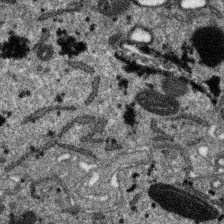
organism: Human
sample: Lung epithelial cells infected with SARS-CoV-2